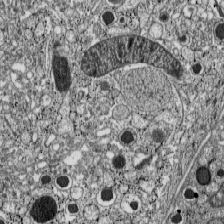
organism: C57BL Mouse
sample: Pancreatic islet